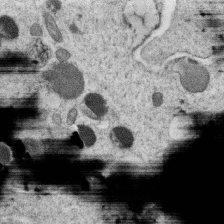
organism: C. elegans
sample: C. elegans oocyte; sperm cells